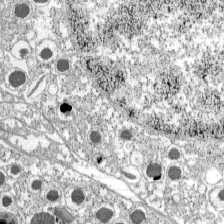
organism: C57BL Mouse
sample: Pancreatic islet